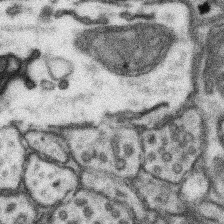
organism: Mouse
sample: Somatosensory cortex neuropil